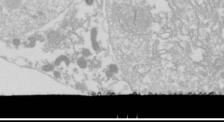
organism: Drosophila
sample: Cell division; meiosis; drosophila spermatocytes